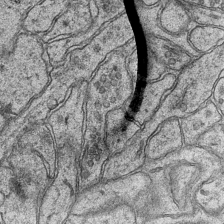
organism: Mouse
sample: CA1 Hippocampus